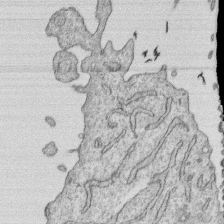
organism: Human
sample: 1205lu cells